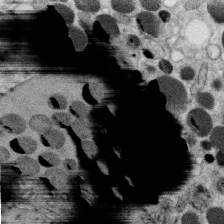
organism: C. elegans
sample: C. elegans oocyte; sperm cells